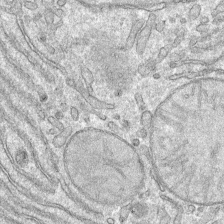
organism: Mouse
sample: Mouse hepatocytes